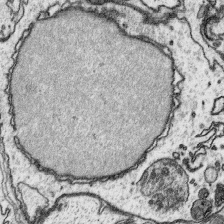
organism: Platynereis dumerilii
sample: Parapodia